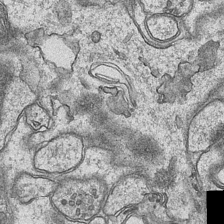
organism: Mouse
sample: CA1 Hippocampus